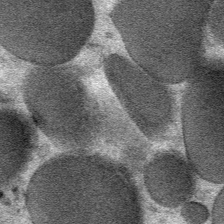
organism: Mouse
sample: Mouse Salivary gland